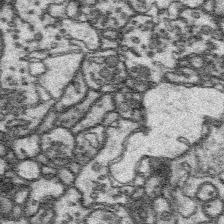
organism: Platynereis dumerilii